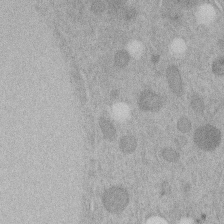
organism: C. elegans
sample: C. elegans embryo early stage